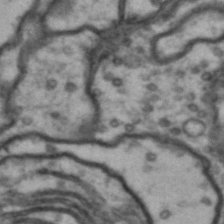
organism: Drosophila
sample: Brain